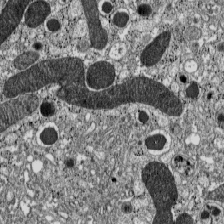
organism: C57BL Mouse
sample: Pancreatic islet